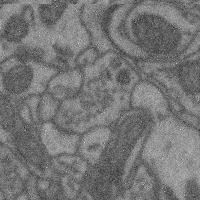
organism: Mouse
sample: Cerebral cortex